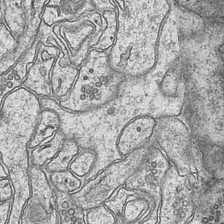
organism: Mouse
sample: CA1 Hippocampus